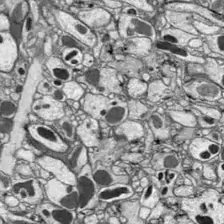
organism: Drosophila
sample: Optic lobe